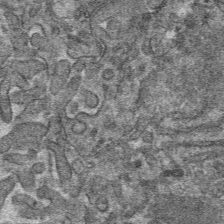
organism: Mouse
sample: Mouse hepatocytes